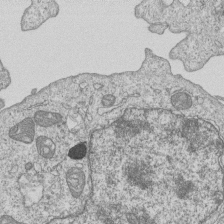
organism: Human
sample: MDA-MB-231 cells